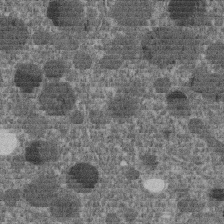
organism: C. elegans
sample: C. elegans embryo early stage